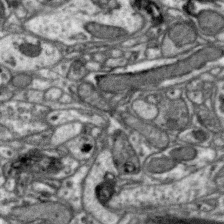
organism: Zebra finch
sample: Brain